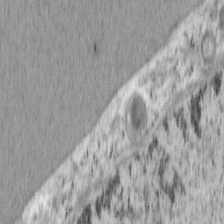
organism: Human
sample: HeLa cells